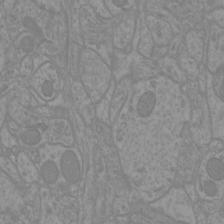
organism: Mouse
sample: Cortical neurons